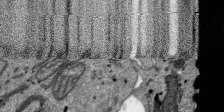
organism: Human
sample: Lung epithelial cells, uninfected (mock) control